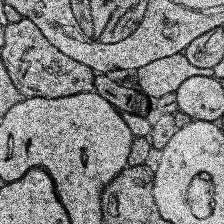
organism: Human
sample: Temporal Lobe